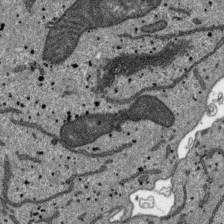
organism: Human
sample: Lung epithelial cells, uninfected (mock) control